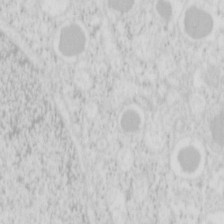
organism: Mouse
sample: Pancreas